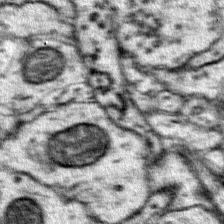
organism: Mouse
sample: Primary visual cortex